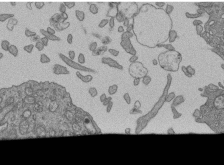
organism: Human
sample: Retinal organoid Rod and Cone cells